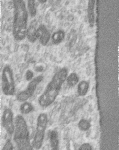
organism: Human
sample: Centriole in RPE cells